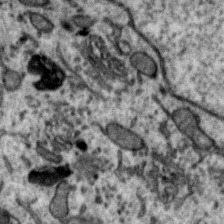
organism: Zebra finch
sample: Brain